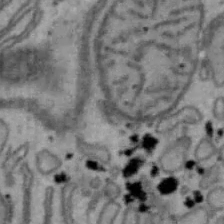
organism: Mouse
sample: Liver